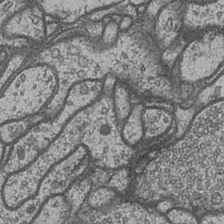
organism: Drosophila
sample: Optic medulla